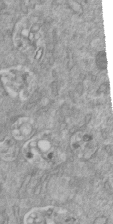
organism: Mouse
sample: ED-1 cell nuclei; centrioles